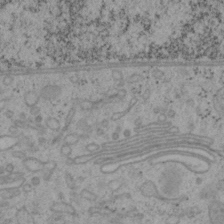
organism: Human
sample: HeLa cells